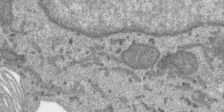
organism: Human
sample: Lung epithelial cells infected with SARS-CoV-2